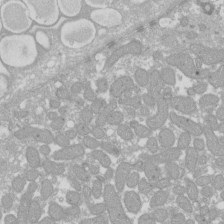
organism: Xenopus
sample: Cilia; centrioles in frog embryo cells